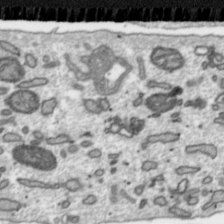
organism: Toxoplasma gondii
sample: Parasites in a vacuole inside a host cell